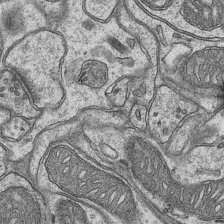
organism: Mouse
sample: CA1 Hippocampus